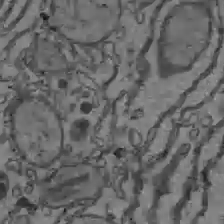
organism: C57BL Mouse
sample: Liver